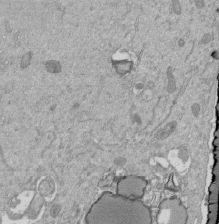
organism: Mouse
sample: ED-1 cell nuclei; centrioles